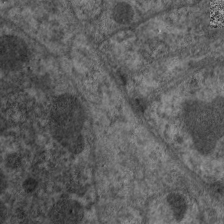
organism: C. elegans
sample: Pharynx